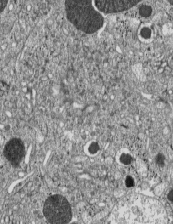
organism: C57BL Mouse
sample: Pancreatic islet